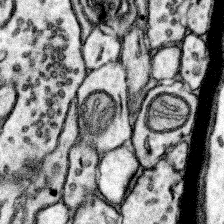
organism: Mouse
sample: Somatosensory cortex neuropil